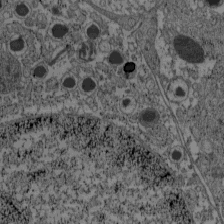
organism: C57BL Mouse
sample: Pancreatic islet